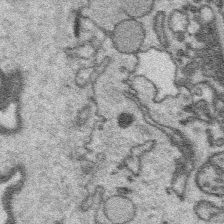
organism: Platynereis dumerilii